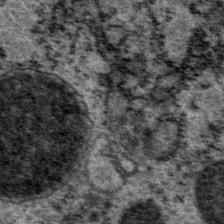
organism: P. pacificus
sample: Pharynx